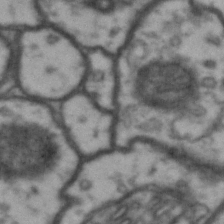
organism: Drosophila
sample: Brain